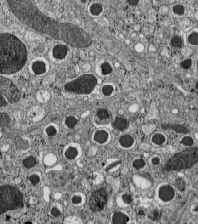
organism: C57BL Mouse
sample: Pancreatic islet